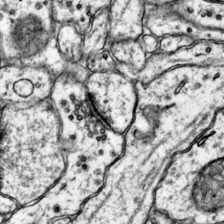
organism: Mouse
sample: Primary visual cortex